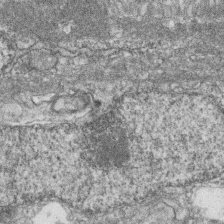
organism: Zebrafish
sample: Cilia; retinal pigment epithelium